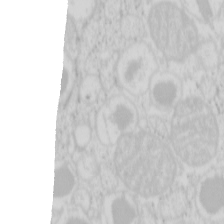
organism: Mouse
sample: Pancreas